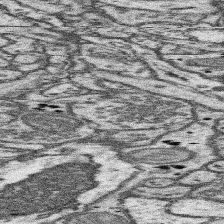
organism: Mouse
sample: Somatosensory cortex neuropil